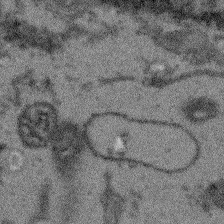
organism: Arabidopsis thaliana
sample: Root tip